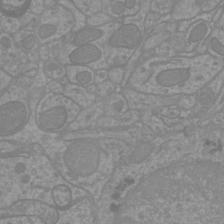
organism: Mouse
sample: Cortical neurons